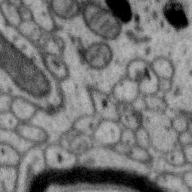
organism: Zebra finch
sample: Brain